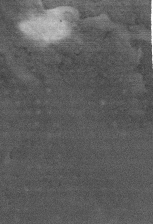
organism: Mouse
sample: Centriole in ependymal cells